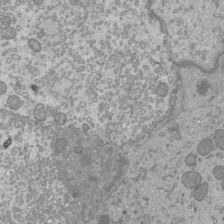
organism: Mouse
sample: Cilia; mouse epididymis